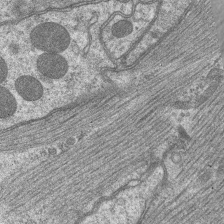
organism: C. elegans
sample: Pharynx